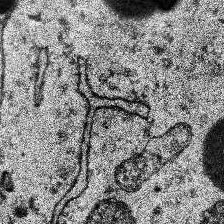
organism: Human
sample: Temporal Lobe